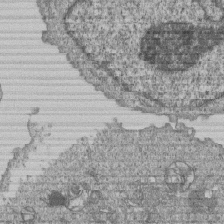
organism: Human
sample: MDA-MB-231 cells